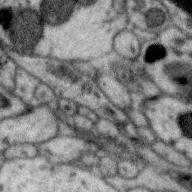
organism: Zebra finch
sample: Brain